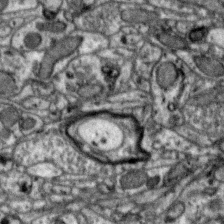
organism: Zebra finch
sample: Brain